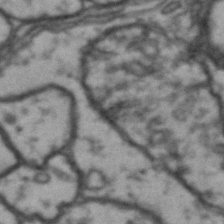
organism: Drosophila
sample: Brain